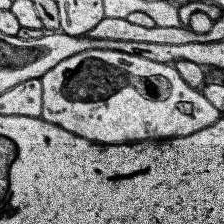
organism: Human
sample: Temporal Lobe